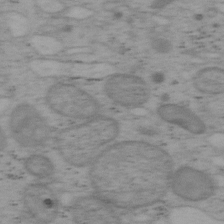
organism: Mouse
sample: OT-I killer T cells with ID8 ovarian cancer cells